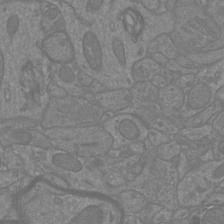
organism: Mouse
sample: Cortical neurons